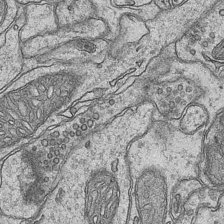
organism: Mouse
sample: CA1 Hippocampus